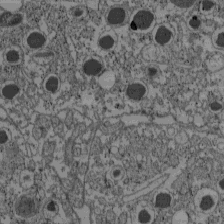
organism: C57BL Mouse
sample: Pancreatic islet